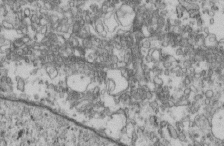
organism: Mouse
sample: Cilia; retinal pigment epithelium